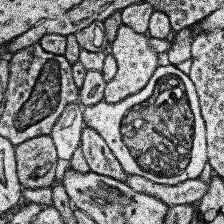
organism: Human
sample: Temporal Lobe